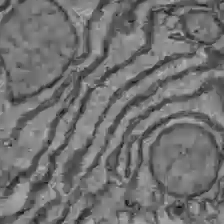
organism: C57BL Mouse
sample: Liver